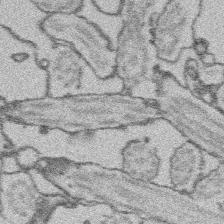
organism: Platynereis dumerilii